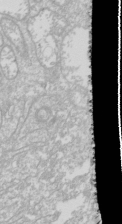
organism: Drosophila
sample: Cell division; meiosis; drosophila spermatocytes